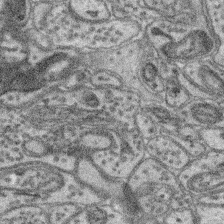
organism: Mouse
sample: Retina